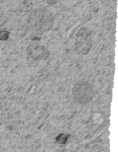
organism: C. elegans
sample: C. elegans embryo early stage